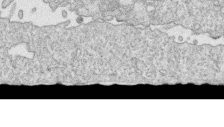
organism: Human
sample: HeLa cell HIV synapse